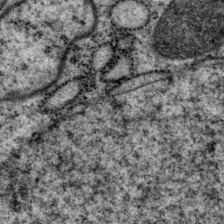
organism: P. pacificus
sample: Pharynx